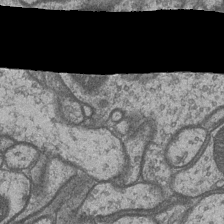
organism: Drosophila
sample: Optic medulla